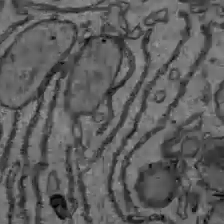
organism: C57BL Mouse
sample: Liver